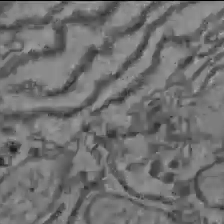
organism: C57BL Mouse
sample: Liver